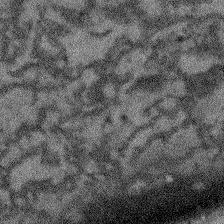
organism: Arabidopsis thaliana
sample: Root tip